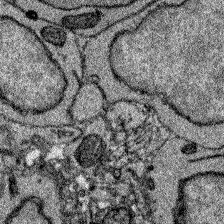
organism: Zebrafish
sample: Larval olfactory bulb